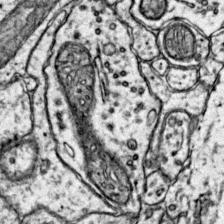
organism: Mouse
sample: Primary visual cortex